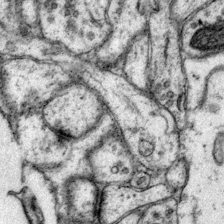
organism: Mouse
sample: Primary visual cortex